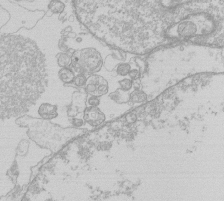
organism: Human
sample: Macrophage cells